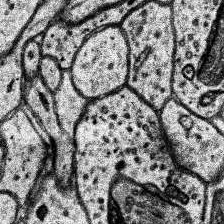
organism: Human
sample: Temporal Lobe